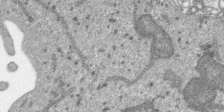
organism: Human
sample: Lung epithelial cells infected with SARS-CoV-2